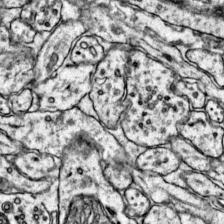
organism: Mouse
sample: Primary visual cortex